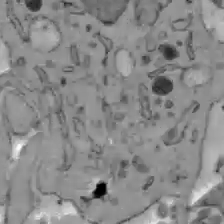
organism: C57BL Mouse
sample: Liver